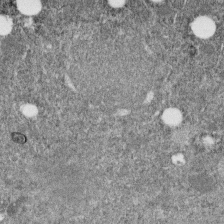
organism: C. elegans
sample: C. elegans embryo early stage